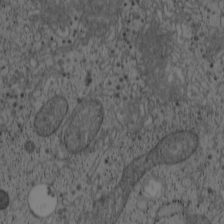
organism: African green monkey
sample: COS-7 cells